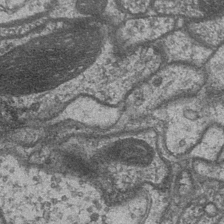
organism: Drosophila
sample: Optic medulla